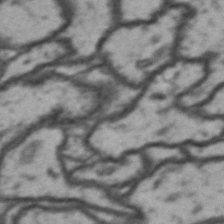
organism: Drosophila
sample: Brain